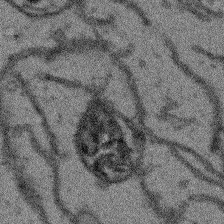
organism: Arabidopsis thaliana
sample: Root tip